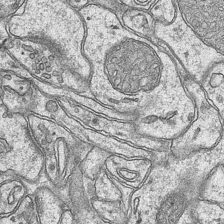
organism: Mouse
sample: CA1 Hippocampus